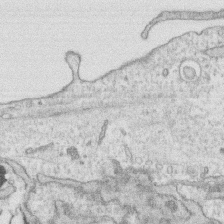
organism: Human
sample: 1205lu cells